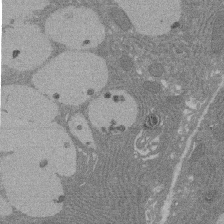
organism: Rat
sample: Salivary granule